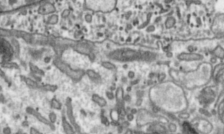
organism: Toxoplasma gondii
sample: Parasites in a vacuole inside a host cell